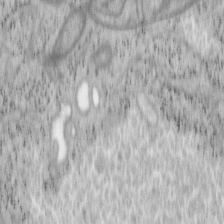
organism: Human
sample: HeLa cells